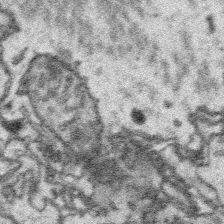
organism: Platynereis dumerilii